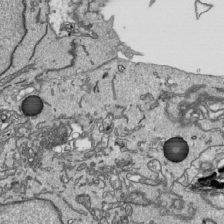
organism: Human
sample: Mitochondria in HCT116 cells